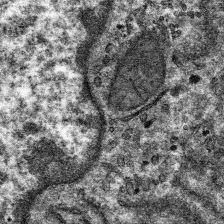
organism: Mouse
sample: Mouse hepatocytes